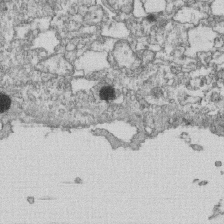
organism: Human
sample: HeLa cell HIV synapse